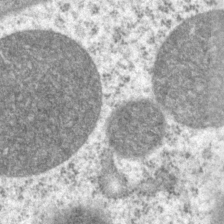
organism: P. pacificus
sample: Pharynx